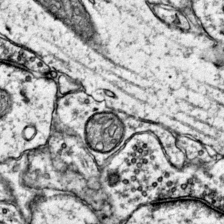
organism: Mouse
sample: Primary visual cortex